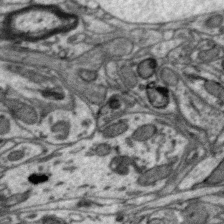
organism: Zebra finch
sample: Brain